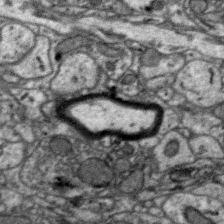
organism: Zebra finch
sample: Brain